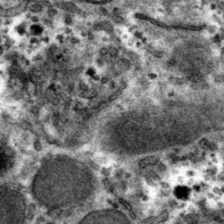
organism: Mouse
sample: Mouse hepatocytes